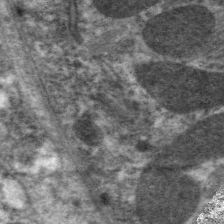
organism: C. elegans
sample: Pharynx